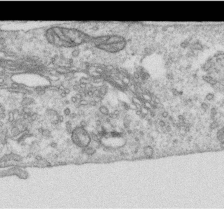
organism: Human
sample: Centriole in RPE cells